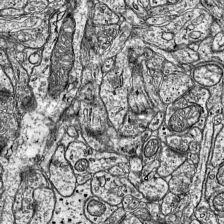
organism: Mouse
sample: Visual Cortex